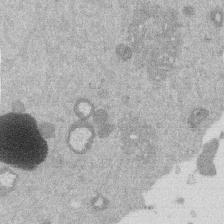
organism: Mouse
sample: Dividing mouse embryo 1 cell stage